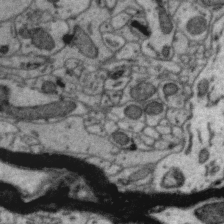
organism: Zebra finch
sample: Brain